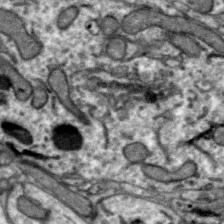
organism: Zebra finch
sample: Brain